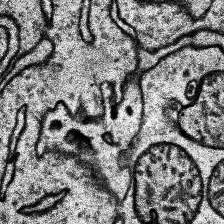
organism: Human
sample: Temporal Lobe